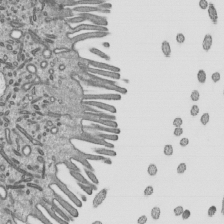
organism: Mouse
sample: Mouse epididymis efferent ductule cilia